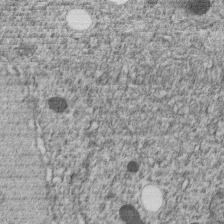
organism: C. elegans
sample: C. elegans embryo early stage